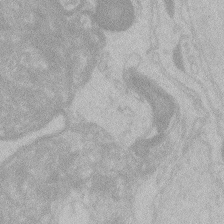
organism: Zebrafish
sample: Macrophage infected with Toxoplasma gondii